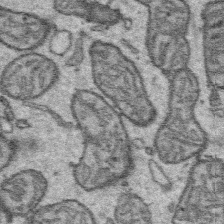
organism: Platynereis dumerilii